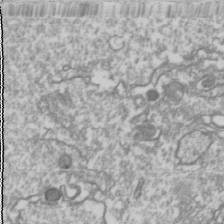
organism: Drosophila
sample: Cell division; meiosis; drosophila spermatocytes